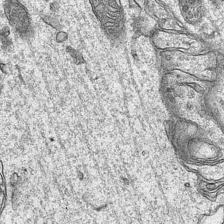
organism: Mouse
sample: CA1 Hippocampus